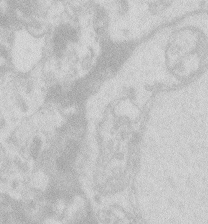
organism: Zebrafish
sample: Macrophage